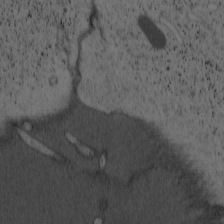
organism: African green monkey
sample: COS-7 cells